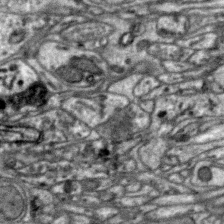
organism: Zebra finch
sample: Brain